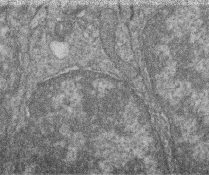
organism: Zebrafish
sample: Cilia; retinal pigment epithelium